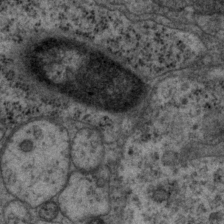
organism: P. pacificus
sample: Pharynx